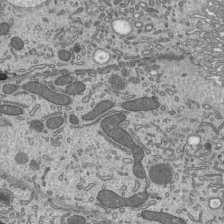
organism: Mouse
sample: Mouse epididymis efferent ductule cilia